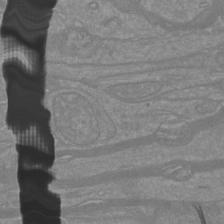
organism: Mouse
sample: Cortical neurons